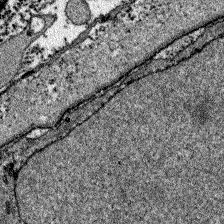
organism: Zebrafish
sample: Larval olfactory bulb